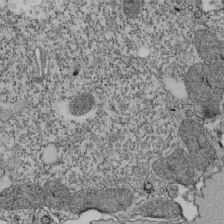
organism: Tetrahymena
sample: Cilia in tetrahymena